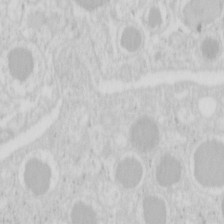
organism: Mouse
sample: Pancreas